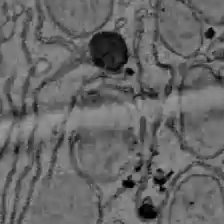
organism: C57BL Mouse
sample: Liver